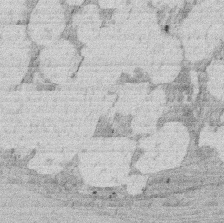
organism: Rat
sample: Salivary granule